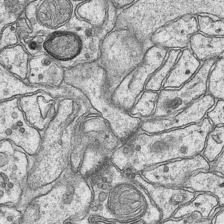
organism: Mouse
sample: CA1 Hippocampus